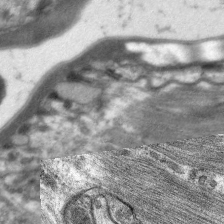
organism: C. elegans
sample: Pharynx